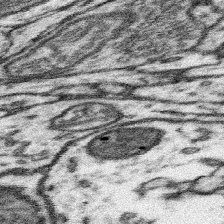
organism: Mouse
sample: Somatosensory cortex neuropil